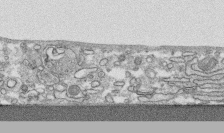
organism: Human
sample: CRL-1474